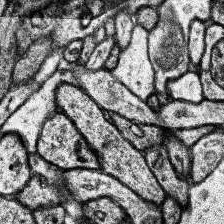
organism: Human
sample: Temporal Lobe